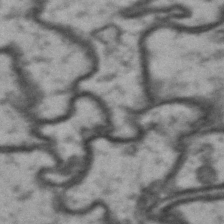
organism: Drosophila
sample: Brain